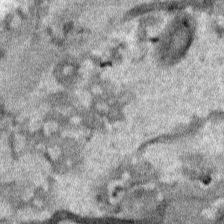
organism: Human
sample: Mitochondria in HCT116 cells